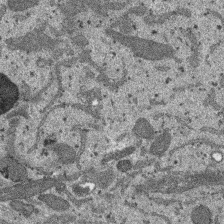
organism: Human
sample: Lung epithelial cells infected with SARS-CoV-2